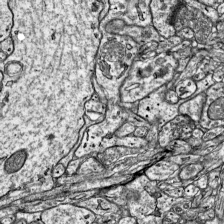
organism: Mouse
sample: Visual Cortex